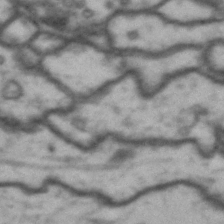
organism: Drosophila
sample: Brain